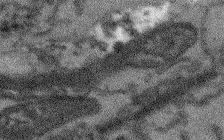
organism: Arabidopsis thaliana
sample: Root tip